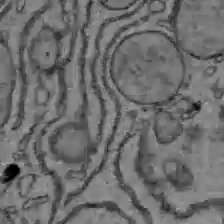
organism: C57BL Mouse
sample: Liver